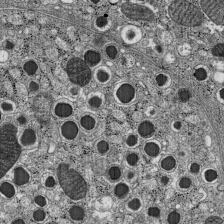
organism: C57BL Mouse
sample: Pancreatic islet